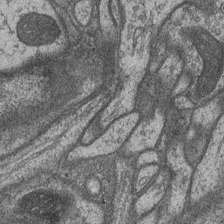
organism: Drosophila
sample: Optic medulla